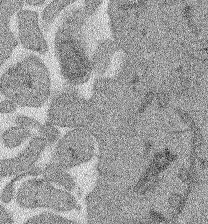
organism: Human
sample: HeLa cells